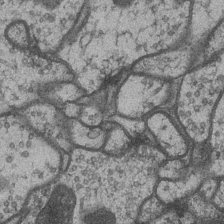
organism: Drosophila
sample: Optic medulla